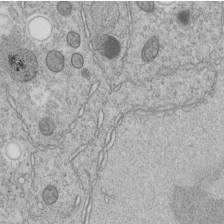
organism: C. elegans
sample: C. elegans embryo early stage